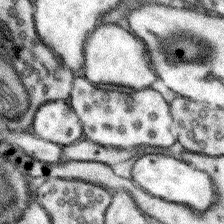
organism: Mouse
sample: Somatosensory cortex neuropil